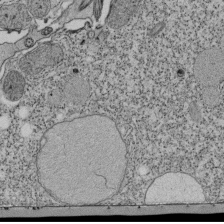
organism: Tetrahymena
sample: Cilia in tetrahymena